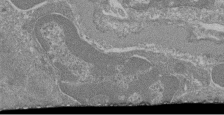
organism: Mouse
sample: Glomerulus